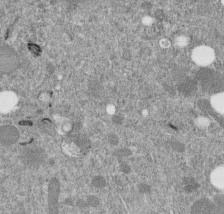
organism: C. elegans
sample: C. elegans embryo early stage